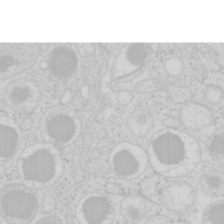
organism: Mouse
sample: Pancreas